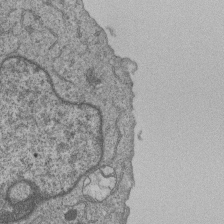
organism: Human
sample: MDA-MB-231 cells